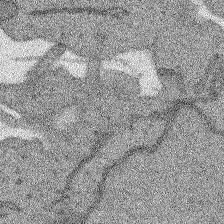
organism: Human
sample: HeLa cells